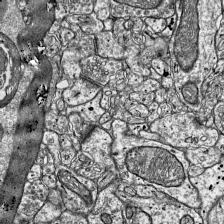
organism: Mouse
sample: Visual Cortex